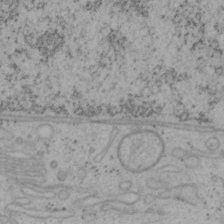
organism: Human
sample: HeLa cells